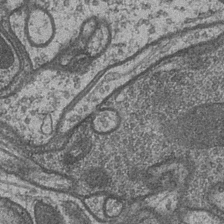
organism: Drosophila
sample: Optic medulla